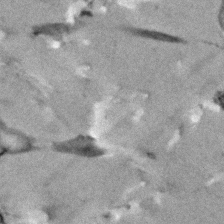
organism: Human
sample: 1205lu cells